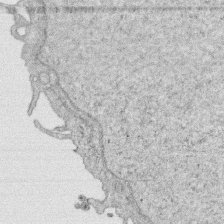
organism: Human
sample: HeLa cell HIV synapse